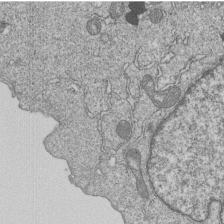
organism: Human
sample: MDA-MB-231 cells